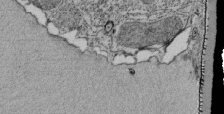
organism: Tetrahymena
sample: Cilia in tetrahymena